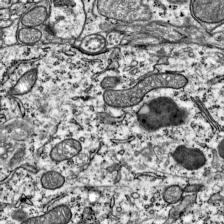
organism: Mouse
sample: Visual Cortex